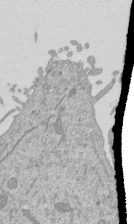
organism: Mouse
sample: ED-1 cell nuclei; centrioles